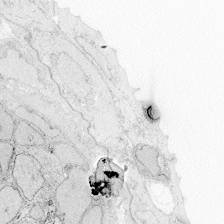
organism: Zebrafish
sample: Whole-Brain